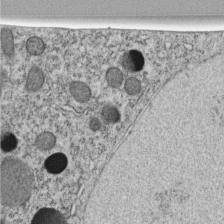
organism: C. elegans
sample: C. elegans embryo early stage